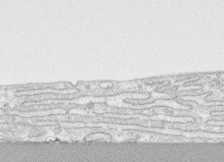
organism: Human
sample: CRL-1474